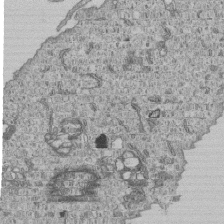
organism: Human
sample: MDA-MB-231 cells